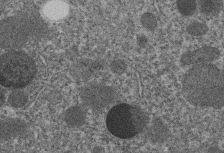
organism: C. elegans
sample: C. elegans embryo early stage